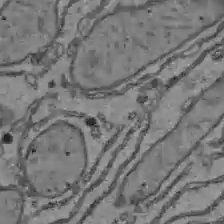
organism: C57BL Mouse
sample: Liver